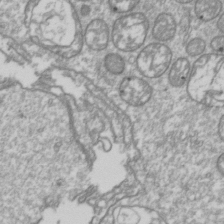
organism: Drosophila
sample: Cell division; meiosis; drosophila spermatocytes